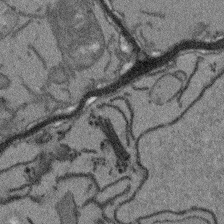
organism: Arabidopsis thaliana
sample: Root tip